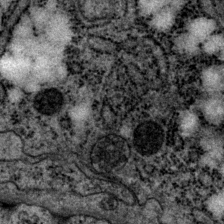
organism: P. pacificus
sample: Pharynx